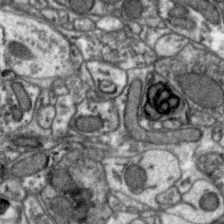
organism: Zebra finch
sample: Brain